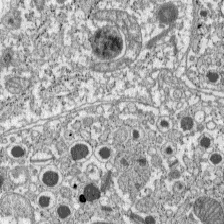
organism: C57BL Mouse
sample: Pancreatic islet